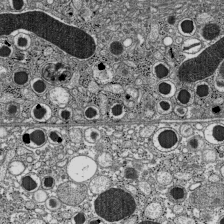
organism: C57BL Mouse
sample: Pancreatic islet